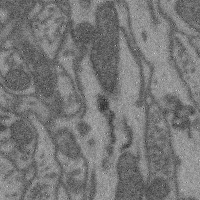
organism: Mouse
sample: Cerebral cortex